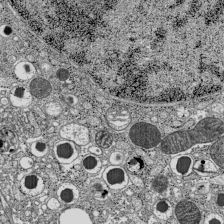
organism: C57BL Mouse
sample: Pancreatic islet